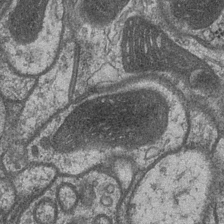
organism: Drosophila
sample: Optic medulla